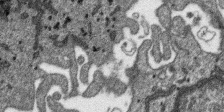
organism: Human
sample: Lung epithelial cells infected with SARS-CoV-2